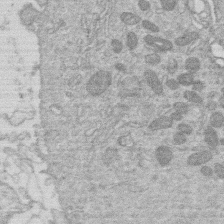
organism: Human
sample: Macrophage cells